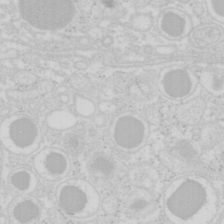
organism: Mouse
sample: Pancreas